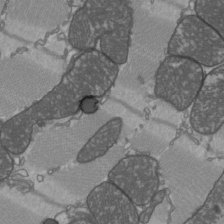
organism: C57BL Mouse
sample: Heart